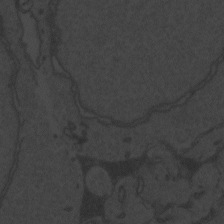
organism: Zebrafish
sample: Macrophage infected with Toxoplasma gondii